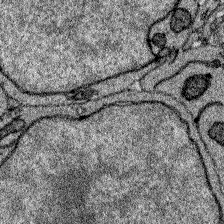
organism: Zebrafish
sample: Larval olfactory bulb